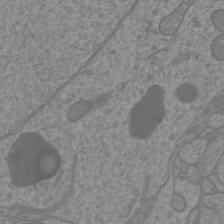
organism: Mouse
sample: Cortical neurons